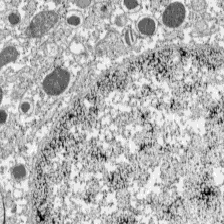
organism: C57BL Mouse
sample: Pancreatic islet